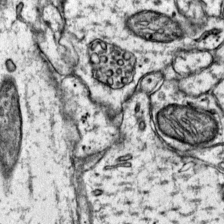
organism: Mouse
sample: Primary visual cortex